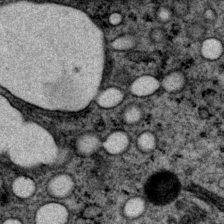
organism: P. pacificus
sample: Pharynx